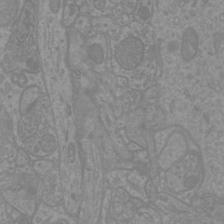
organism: Mouse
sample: Cortical neurons